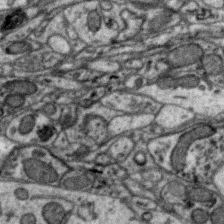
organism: Zebra finch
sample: Brain